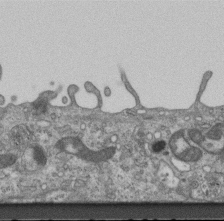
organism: Mouse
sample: Centriole in ependymal cells